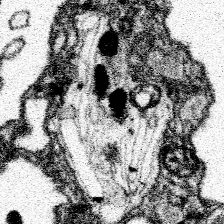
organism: Spongilla lacustris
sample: Neuroid cell